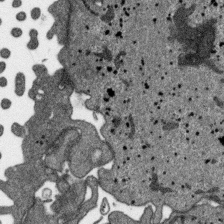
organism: Human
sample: Lung epithelial cells, uninfected (mock) control